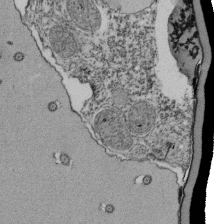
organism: Tetrahymena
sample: Cilia in tetrahymena